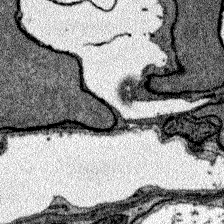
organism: Zebrafish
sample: Larval olfactory bulb